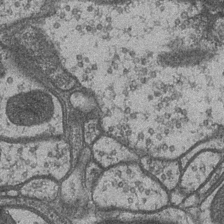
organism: Drosophila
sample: Optic medulla